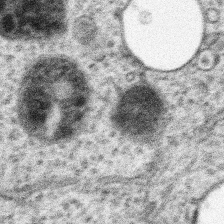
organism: Human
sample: HeLa cells